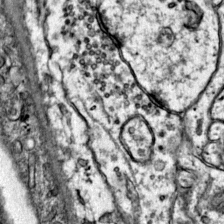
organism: Mouse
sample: Primary visual cortex